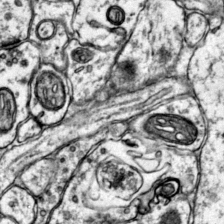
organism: Mouse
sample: Primary visual cortex